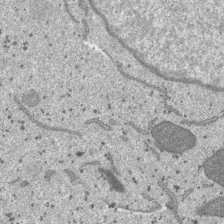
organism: Human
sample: Lung epithelial cells infected with SARS-CoV-2